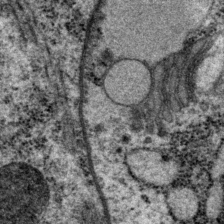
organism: P. pacificus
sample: Pharynx